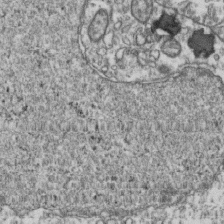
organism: Human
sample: Activated Jurkat CD4+ T cells